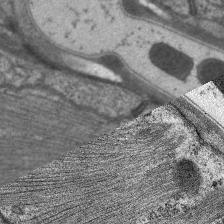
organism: C. elegans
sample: Pharynx